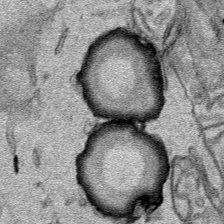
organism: Human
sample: Mitochondria in HCT116 cells